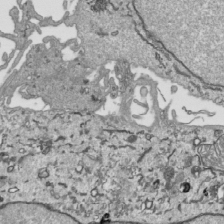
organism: Human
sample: Mitochondria in HCT116 cells